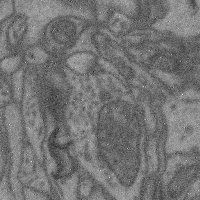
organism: Mouse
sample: Cerebral cortex